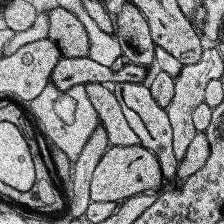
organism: Human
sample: Temporal Lobe